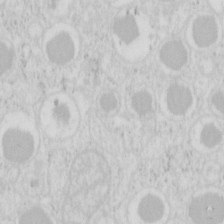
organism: Mouse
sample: Pancreas